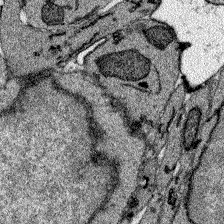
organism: Zebrafish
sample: Larval olfactory bulb